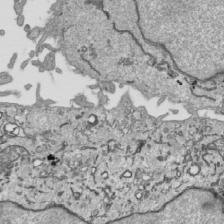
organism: Human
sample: Mitochondria in HCT116 cells